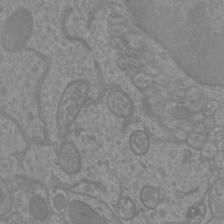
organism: Mouse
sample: Cortical neurons